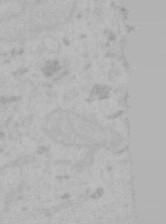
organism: Mouse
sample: Choroid plexus